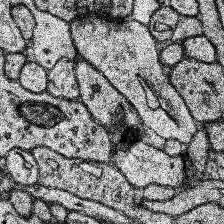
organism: Human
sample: Temporal Lobe